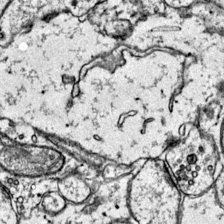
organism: Mouse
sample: Primary visual cortex